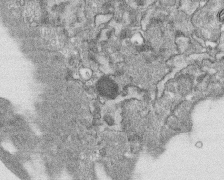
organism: Human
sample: CRL-1474